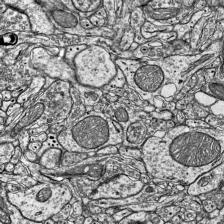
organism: Mouse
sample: Visual Cortex